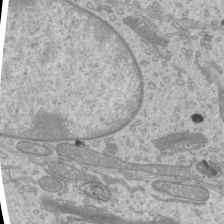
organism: Mouse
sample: Cilia; mouse epididymis